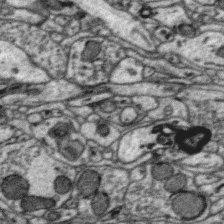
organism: Zebra finch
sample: Brain